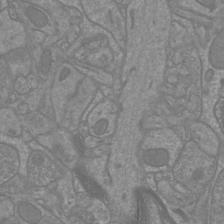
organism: Mouse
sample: Cortical neurons